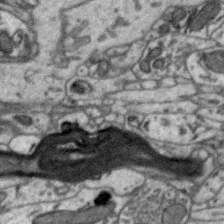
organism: Zebra finch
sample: Brain